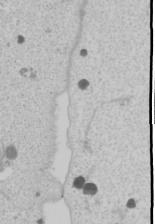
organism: Human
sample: Mitochondria in U2OS cells